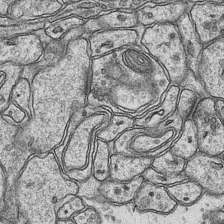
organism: Mouse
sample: CA1 Hippocampus